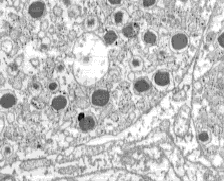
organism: C57BL Mouse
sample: Pancreatic islet